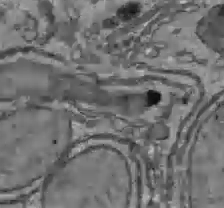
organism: C57BL Mouse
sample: Liver